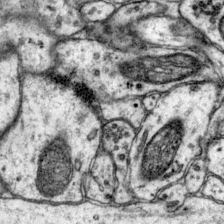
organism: Mouse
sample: Primary visual cortex